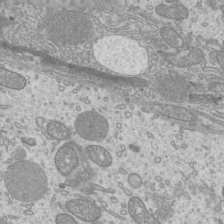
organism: Mouse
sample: Cilia; mouse epididymis